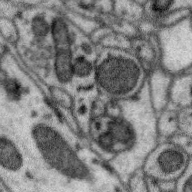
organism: Zebra finch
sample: Brain